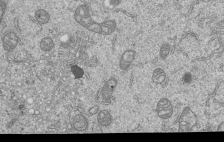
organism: Human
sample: MDA-MB-231 cells